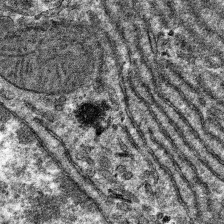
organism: Mouse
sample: Mouse hepatocytes